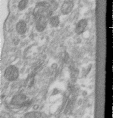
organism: Human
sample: Centriole in RPE cells